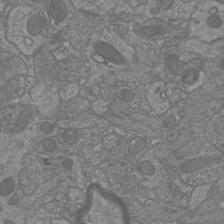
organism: Mouse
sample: Cortical neurons